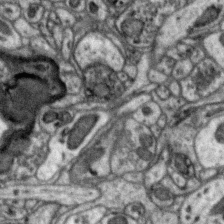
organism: Zebra finch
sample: Brain